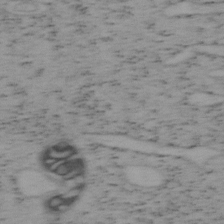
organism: Mouse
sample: OT-I killer T cells with ID8 ovarian cancer cells